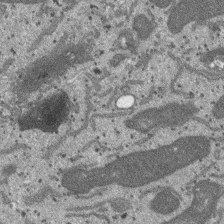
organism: Human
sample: Lung epithelial cells infected with SARS-CoV-2